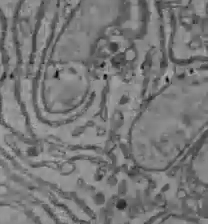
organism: C57BL Mouse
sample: Liver